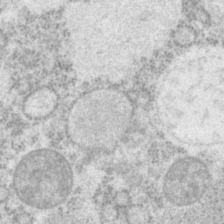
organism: P. pacificus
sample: Pharynx